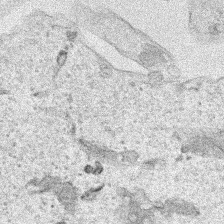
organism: Human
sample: Mitochondria in HCT116 cells